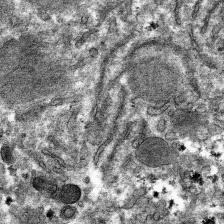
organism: Mouse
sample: Mouse hepatocytes